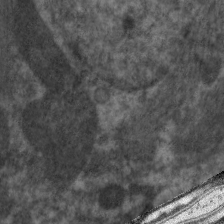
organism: C. elegans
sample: Pharynx